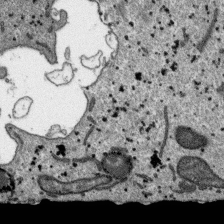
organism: Human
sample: Lung epithelial cells, uninfected (mock) control